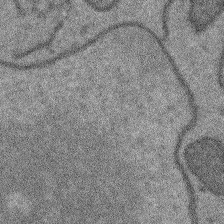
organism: Arabidopsis thaliana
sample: Root tip